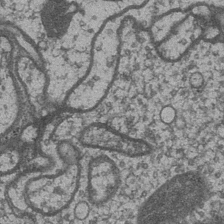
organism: Drosophila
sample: Optic medulla